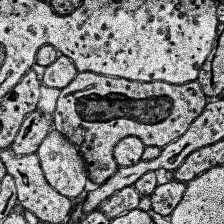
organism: Human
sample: Temporal Lobe